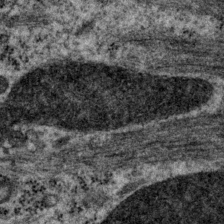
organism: P. pacificus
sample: Pharynx